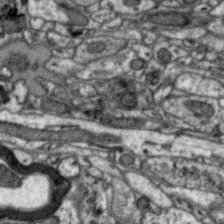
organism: Zebra finch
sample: Brain